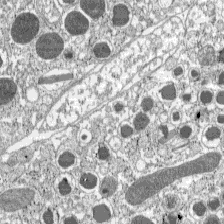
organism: C57BL Mouse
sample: Pancreatic islet